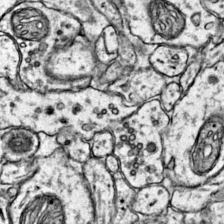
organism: Mouse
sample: Primary visual cortex